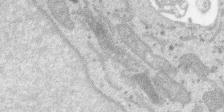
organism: Human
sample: Lung epithelial cells infected with SARS-CoV-2